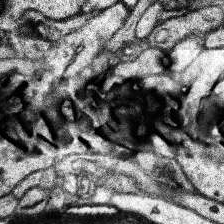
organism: Human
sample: Temporal Lobe